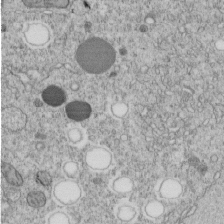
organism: C. elegans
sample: C. elegans embryo early stage